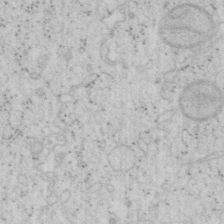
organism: Human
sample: HeLa cells